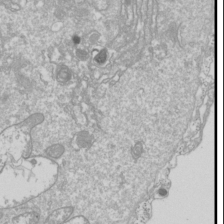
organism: Drosophila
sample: Cell division; meiosis; drosophila spermatocytes